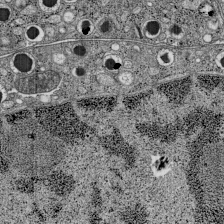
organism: C57BL Mouse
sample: Pancreatic islet